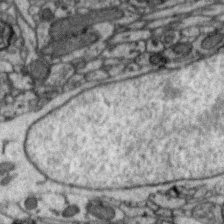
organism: Zebra finch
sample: Brain